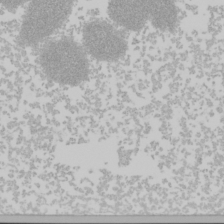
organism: Mouse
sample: Cancer cell death in ED-1 cells